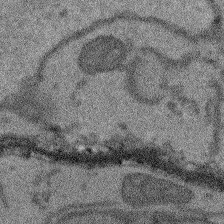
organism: Arabidopsis thaliana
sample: Root tip